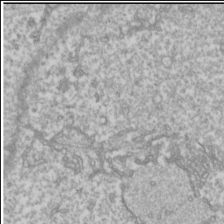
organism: Drosophila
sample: Cell division; meiosis; drosophila spermatocytes